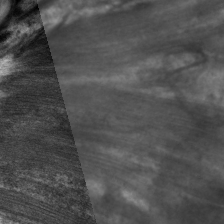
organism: C. elegans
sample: Pharynx